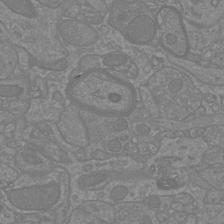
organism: Mouse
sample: Cortical neurons